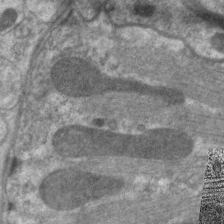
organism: C. elegans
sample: Pharynx